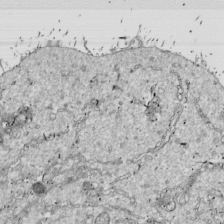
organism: Drosophila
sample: Cell division; meiosis; drosophila spermatocytes